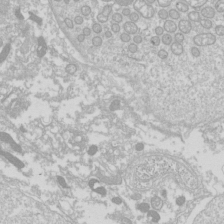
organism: Drosophila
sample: Cell division; meiosis; drosophila spermatocytes